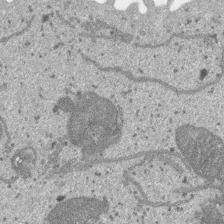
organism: Human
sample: Lung epithelial cells infected with SARS-CoV-2